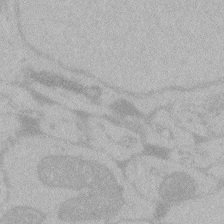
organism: Zebrafish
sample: Macrophage infected with Toxoplasma gondii